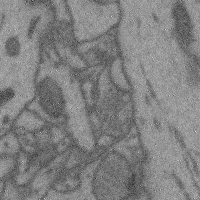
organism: Mouse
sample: Cerebral cortex